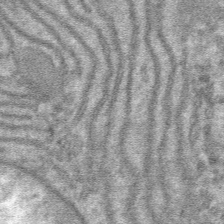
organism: Mouse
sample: Mouse hepatocytes